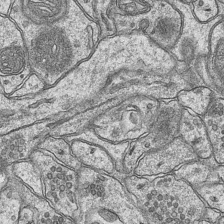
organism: Mouse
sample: CA1 Hippocampus